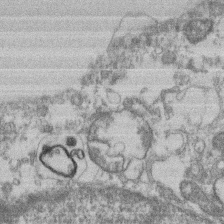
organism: Mouse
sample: T cell stromal cell synapse